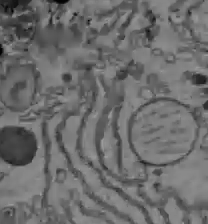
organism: C57BL Mouse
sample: Liver